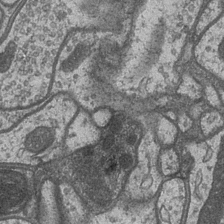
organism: Drosophila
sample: Optic medulla